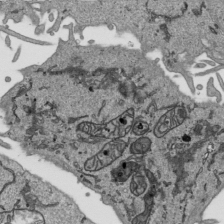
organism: Human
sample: Mitochondria in HCT116 cells